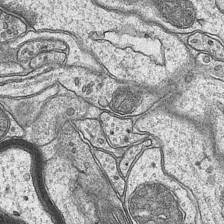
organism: Mouse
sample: CA1 Hippocampus